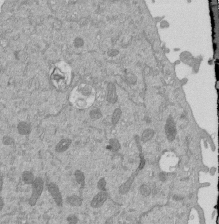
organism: Mouse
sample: ED-1 cell nuclei; centrioles